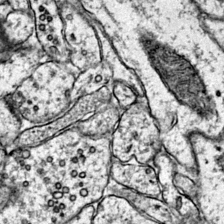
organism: Mouse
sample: Primary visual cortex